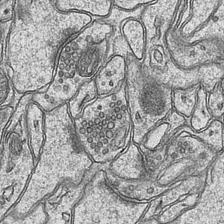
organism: Mouse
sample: CA1 Hippocampus